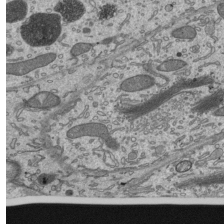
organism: Mouse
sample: Mouse epididymis efferent ductule cilia